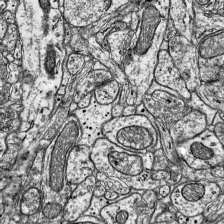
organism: Mouse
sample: Visual Cortex